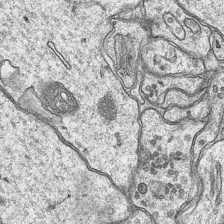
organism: Mouse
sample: CA1 Hippocampus